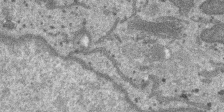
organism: Human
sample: Lung epithelial cells infected with SARS-CoV-2